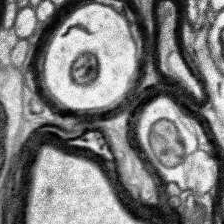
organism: Human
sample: Temporal Lobe